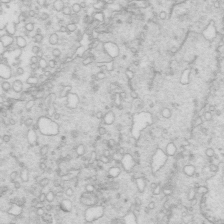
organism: Mouse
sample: Multiciliated cells